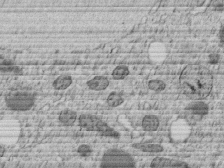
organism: C. elegans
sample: C. elegans embryo early stage